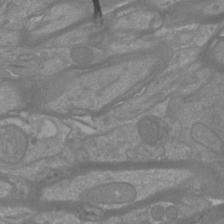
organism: Mouse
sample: Cortical neurons